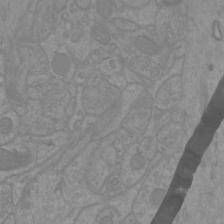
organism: Mouse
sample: Cortical neurons